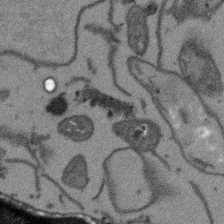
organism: Arabidopsis thaliana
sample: Root tip